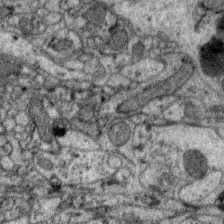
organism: Zebra finch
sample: Brain